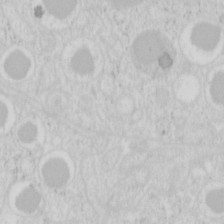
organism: Mouse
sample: Pancreas